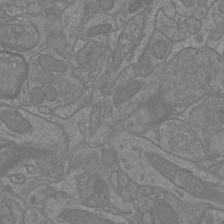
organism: Mouse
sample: Cortical neurons